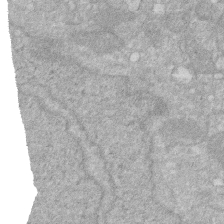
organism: Human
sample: HIV infected U937 cells